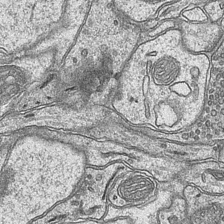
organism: Mouse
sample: CA1 Hippocampus